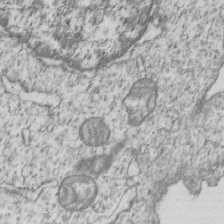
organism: Human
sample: MDA-MB-231 cells